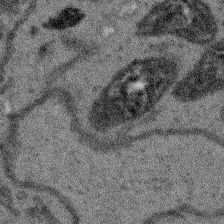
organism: Arabidopsis thaliana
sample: Root tip